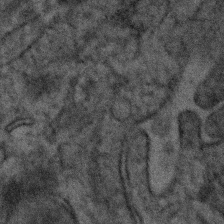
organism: Human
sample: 1205lu cells